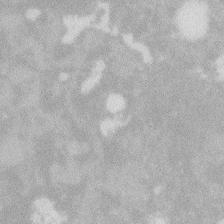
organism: Zebrafish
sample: Macrophage